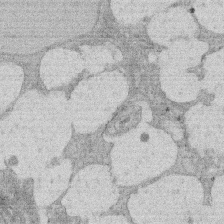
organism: Rat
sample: Salivary granule